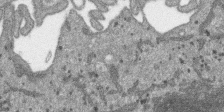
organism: Human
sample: Lung epithelial cells infected with SARS-CoV-2